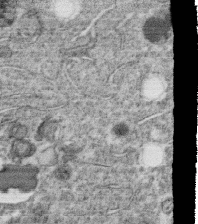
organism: C. elegans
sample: C. elegans oocyte; sperm cells